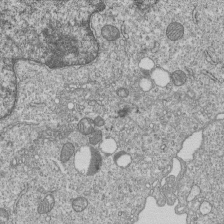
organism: Human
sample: MDA-MB-231 cells